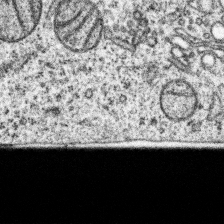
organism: Human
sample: HeLa cells